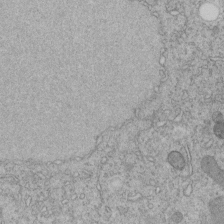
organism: C. elegans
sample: C. elegans embryo early stage